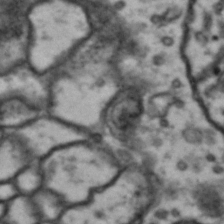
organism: Drosophila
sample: Brain